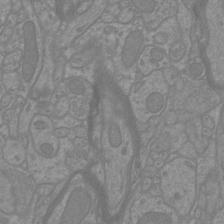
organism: Mouse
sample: Cortical neurons